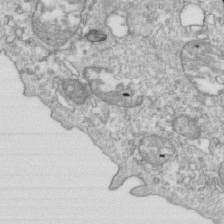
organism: Mouse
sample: Activated OT-1 CD8+ T cells